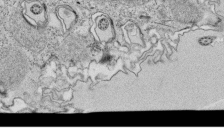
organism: Tetrahymena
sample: Cilia in tetrahymena